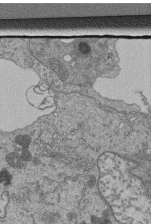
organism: Human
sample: Retinal organoid Rod and Cone cells